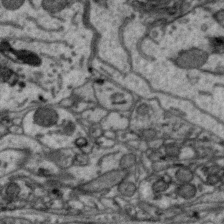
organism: Zebra finch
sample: Brain